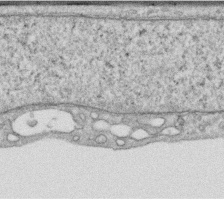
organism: Human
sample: Centriole in RPE cells